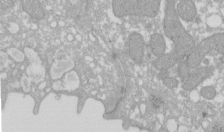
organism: Xenopus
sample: Cilia; centrioles in frog embryo cells